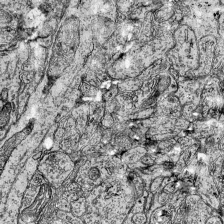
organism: Mouse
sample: Visual Cortex